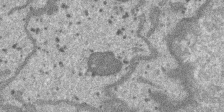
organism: Human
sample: Lung epithelial cells infected with SARS-CoV-2